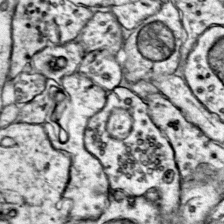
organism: Mouse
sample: Primary visual cortex